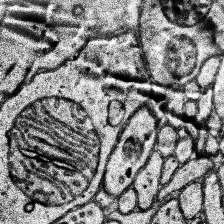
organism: Human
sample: Temporal Lobe